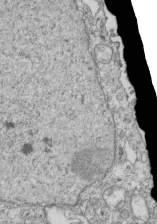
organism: Human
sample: HeLa cell HIV synapse